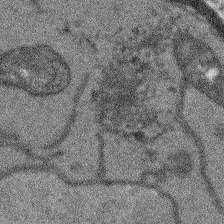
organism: Arabidopsis thaliana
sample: Root tip